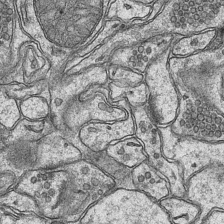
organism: Mouse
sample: CA1 Hippocampus